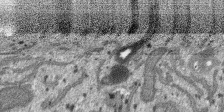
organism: Human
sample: Lung epithelial cells infected with SARS-CoV-2